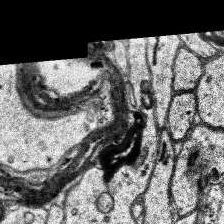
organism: Human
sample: Temporal Lobe